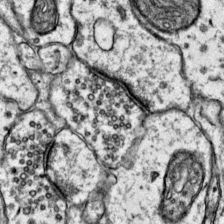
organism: Mouse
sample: Primary visual cortex